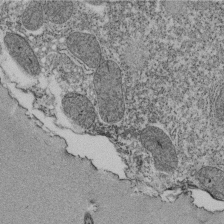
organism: Tetrahymena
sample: Cilia in tetrahymena